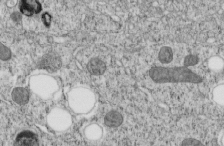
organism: C. elegans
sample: C. elegans embryo early stage